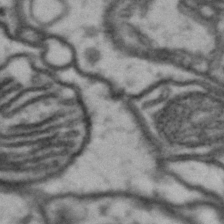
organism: Drosophila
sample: Brain